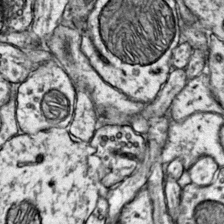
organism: Mouse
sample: Primary visual cortex